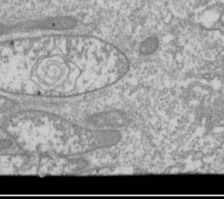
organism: Drosophila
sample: Cell division; meiosis; drosophila spermatocytes